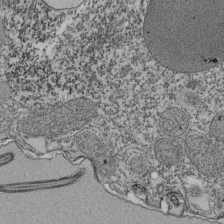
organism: Tetrahymena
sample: Cilia in tetrahymena